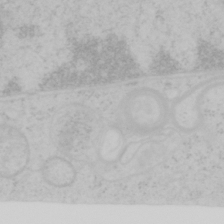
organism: Mouse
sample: OT-I killer T cells with ID8 ovarian cancer cells